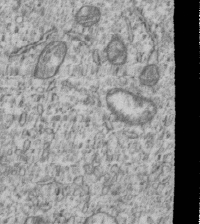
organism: Human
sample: MDA-MB-231 cells